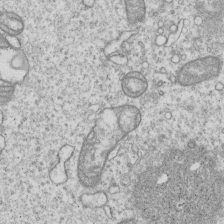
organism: Human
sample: MDA-MB-231 cells